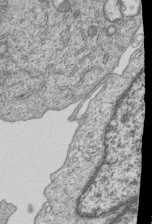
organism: Human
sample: MDA-MB-231 cells